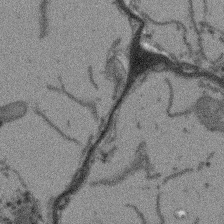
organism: Arabidopsis thaliana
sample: Root tip